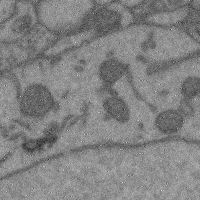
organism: Mouse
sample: Cerebral cortex